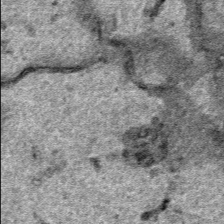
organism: Human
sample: Mitochondria in HCT116 cells